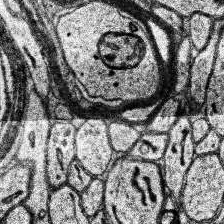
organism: Human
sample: Temporal Lobe